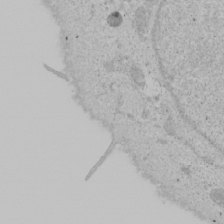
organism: Human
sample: Mitochondria in U2OS cells